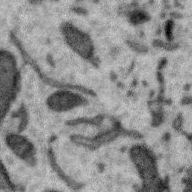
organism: Zebra finch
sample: Brain